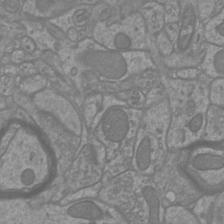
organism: Mouse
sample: Cortical neurons